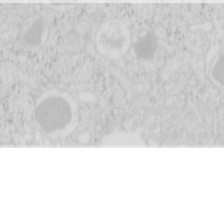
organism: Mouse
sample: Pancreas